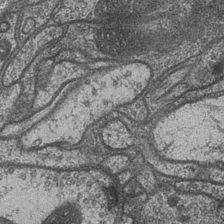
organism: Drosophila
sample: Optic medulla